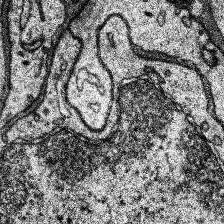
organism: Human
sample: Temporal Lobe